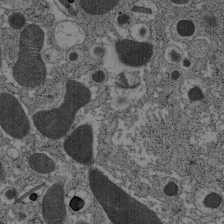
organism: C57BL Mouse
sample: Pancreatic islet